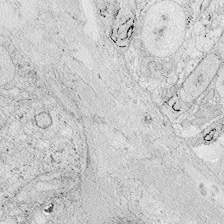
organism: Zebrafish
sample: Whole-Brain